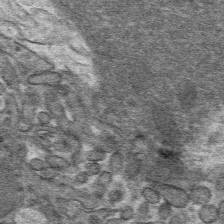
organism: Mouse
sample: Mouse hepatocytes